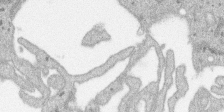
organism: Human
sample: Lung epithelial cells infected with SARS-CoV-2